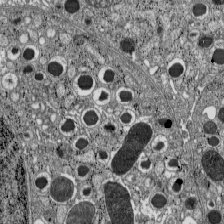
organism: C57BL Mouse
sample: Pancreatic islet